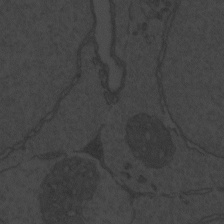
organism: Zebrafish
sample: Macrophage infected with Toxoplasma gondii